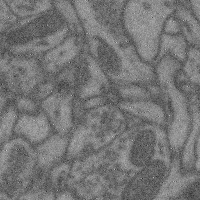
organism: Mouse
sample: Cerebral cortex